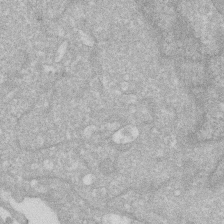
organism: Human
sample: HIV infected U937 cells